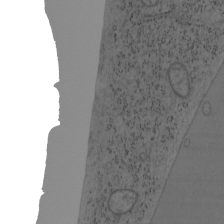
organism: Mouse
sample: OT-I killer T cells with ID8 ovarian cancer cells